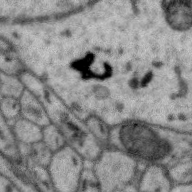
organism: Zebra finch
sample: Brain